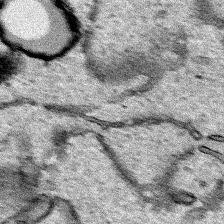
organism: Human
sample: Mitochondria in HCT116 cells